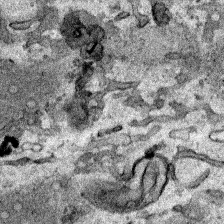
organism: Human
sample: Mitochondria in HCT116 cells